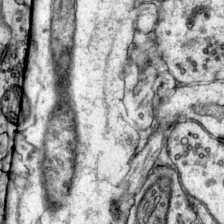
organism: Mouse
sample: Primary visual cortex